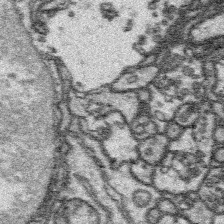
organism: Platynereis dumerilii